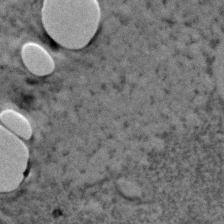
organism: C. elegans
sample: C. elegans embryo